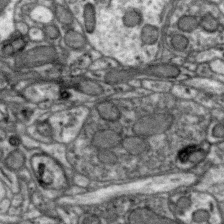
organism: Zebra finch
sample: Brain